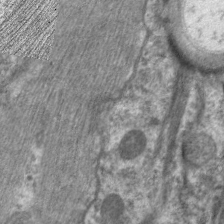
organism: C. elegans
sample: Pharynx